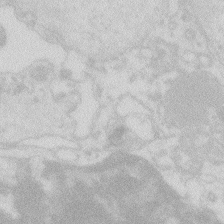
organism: Zebrafish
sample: Macrophage